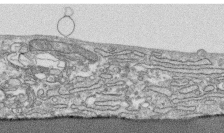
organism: Human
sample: CRL-1474